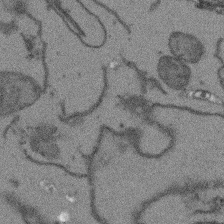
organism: Arabidopsis thaliana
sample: Root tip